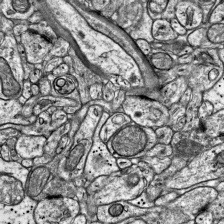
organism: Mouse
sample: Visual Cortex